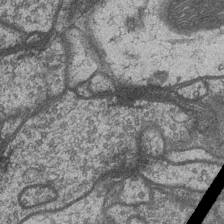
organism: Drosophila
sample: Optic medulla